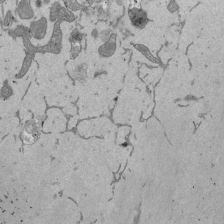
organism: Mouse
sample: ED-1 cell nuclei; centrioles